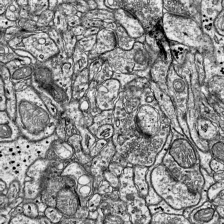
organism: Mouse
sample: Visual Cortex